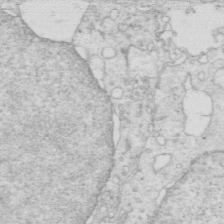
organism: Mouse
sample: Multiciliated cells